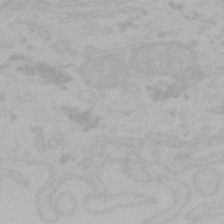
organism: Mouse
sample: Choroid plexus